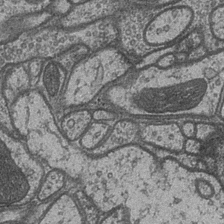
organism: Drosophila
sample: Optic medulla